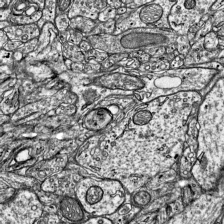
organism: Mouse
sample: Visual Cortex